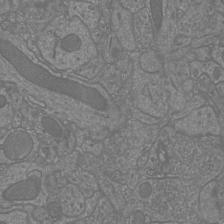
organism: Mouse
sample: Cortical neurons